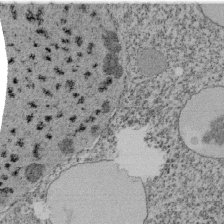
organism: Tetrahymena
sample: Cilia in tetrahymena